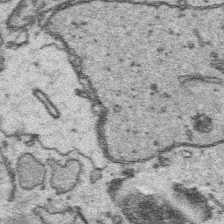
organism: Platynereis dumerilii